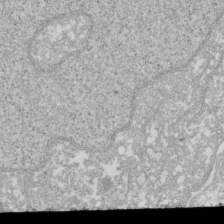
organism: Xenopus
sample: Cilia; centrioles in frog embryo cells